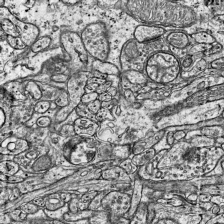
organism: Mouse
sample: Visual Cortex